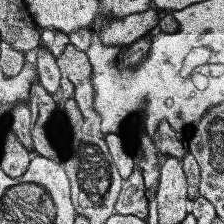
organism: Human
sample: Temporal Lobe